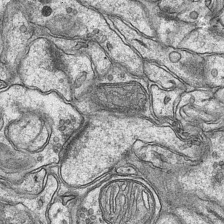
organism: Mouse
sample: CA1 Hippocampus